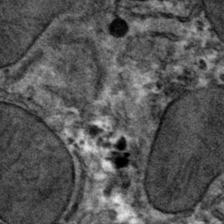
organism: Mouse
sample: Mouse hepatocytes